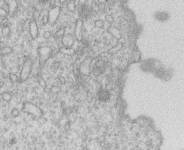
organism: Human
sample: Macrophage cells